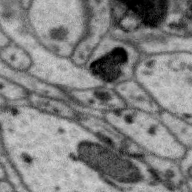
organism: Zebra finch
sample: Brain